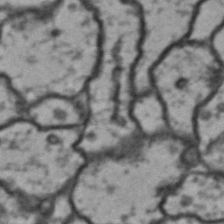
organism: Drosophila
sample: Brain